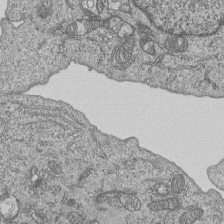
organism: Human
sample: MDA-MB-231 cells